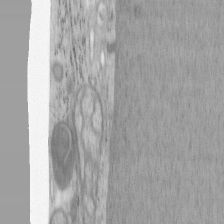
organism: Human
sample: HeLa cells